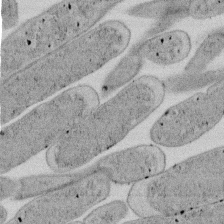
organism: E. coli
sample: Bacterial nucleoid